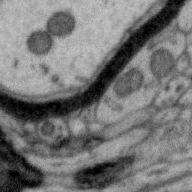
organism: Zebra finch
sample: Brain